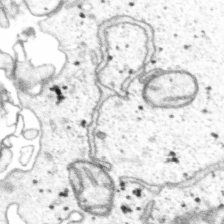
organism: Human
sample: HeLa cells